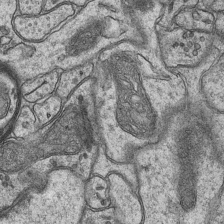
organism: Mouse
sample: CA1 Hippocampus